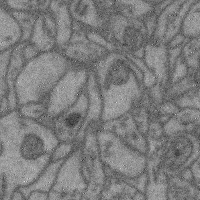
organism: Mouse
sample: Cerebral cortex